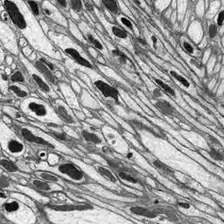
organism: Drosophila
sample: Optic lobe